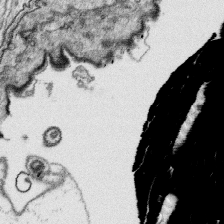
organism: Platynereis dumerilii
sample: Parapodia